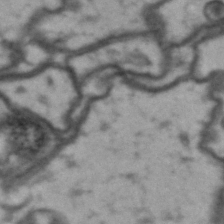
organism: Drosophila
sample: Brain